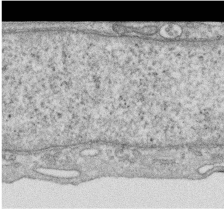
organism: Human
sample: Centriole in RPE cells